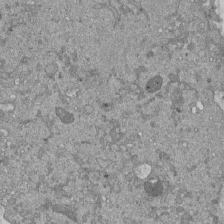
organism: Mouse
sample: ED-1 cell nuclei; centrioles